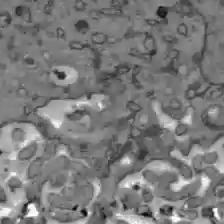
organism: C57BL Mouse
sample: Liver